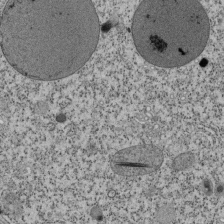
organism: Tetrahymena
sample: Cilia in tetrahymena